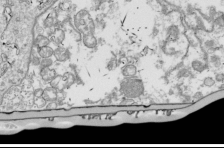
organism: Drosophila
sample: Cell division; meiosis; drosophila spermatocytes